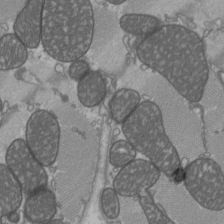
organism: C57BL Mouse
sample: Heart